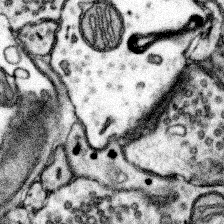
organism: Mouse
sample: Somatosensory cortex neuropil